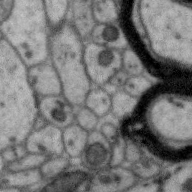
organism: Zebra finch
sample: Brain